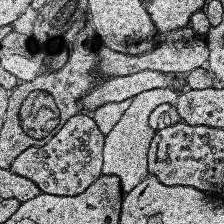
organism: Human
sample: Temporal Lobe